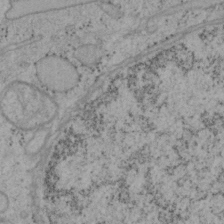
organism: Human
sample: HeLa cells